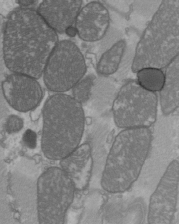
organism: C57BL Mouse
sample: Heart